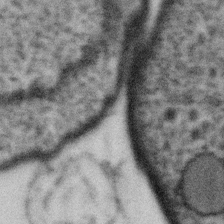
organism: Gemmata obscuriglobus